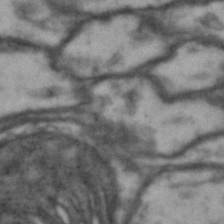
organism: Drosophila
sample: Brain